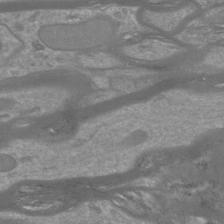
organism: Mouse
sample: Cortical neurons